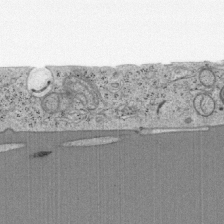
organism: Human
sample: HeLa cells